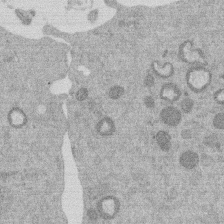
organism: Mouse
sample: Dividing mouse embryo 1 cell stage